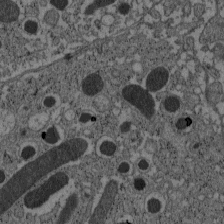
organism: C57BL Mouse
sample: Pancreatic islet